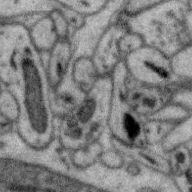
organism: Zebra finch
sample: Brain